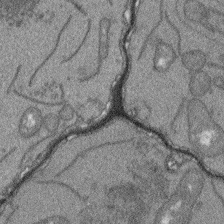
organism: Arabidopsis thaliana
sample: Root tip